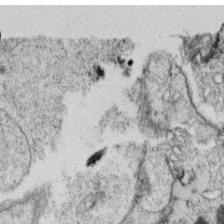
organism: C. elegans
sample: C. elegans oocyte; sperm cells